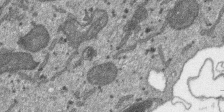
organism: Human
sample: Lung epithelial cells infected with SARS-CoV-2